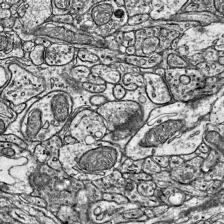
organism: Mouse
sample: Visual Cortex